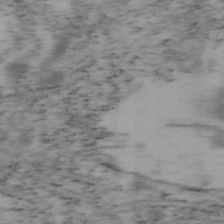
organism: Mouse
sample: OT-I killer T cells with ID8 ovarian cancer cells